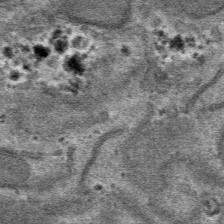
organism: Mouse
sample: Mouse hepatocytes